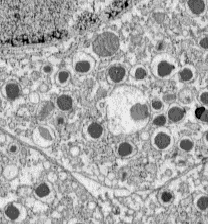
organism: C57BL Mouse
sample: Pancreatic islet